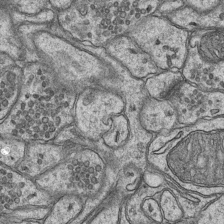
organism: Mouse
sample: CA1 Hippocampus